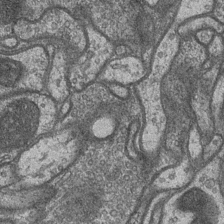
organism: Drosophila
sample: Optic medulla